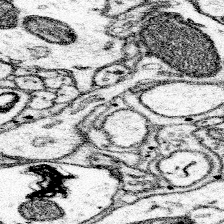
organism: Mouse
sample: Somatosensory cortex neuropil